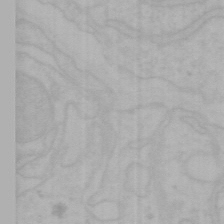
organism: Mouse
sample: Choroid plexus